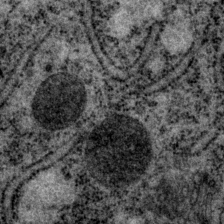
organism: P. pacificus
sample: Pharynx